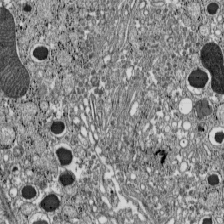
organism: C57BL Mouse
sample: Pancreatic islet